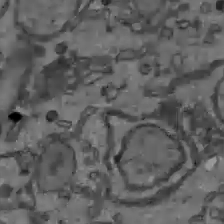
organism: C57BL Mouse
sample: Liver